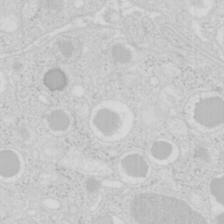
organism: Mouse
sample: Pancreas